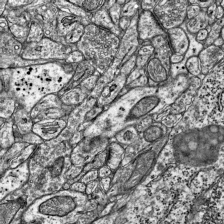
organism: Mouse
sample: Visual Cortex